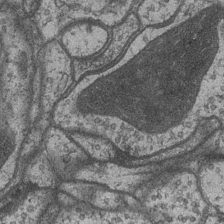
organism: Drosophila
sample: Optic medulla